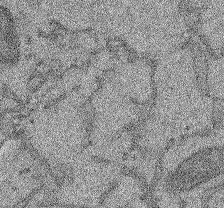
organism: Human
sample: HeLa cells